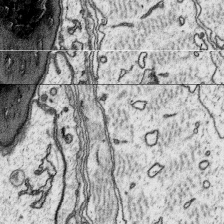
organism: Platynereis dumerilii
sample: Parapodia